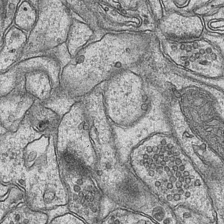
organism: Mouse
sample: CA1 Hippocampus